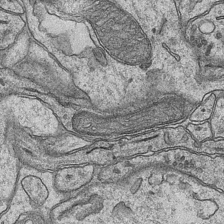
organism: Mouse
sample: CA1 Hippocampus